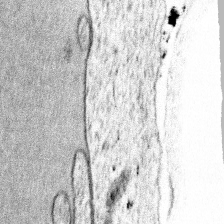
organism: Human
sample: HeLa cells